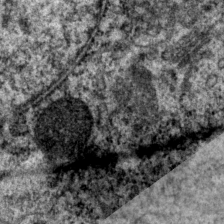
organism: P. pacificus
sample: Pharynx